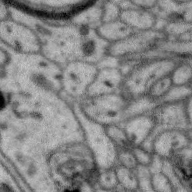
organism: Zebra finch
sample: Brain